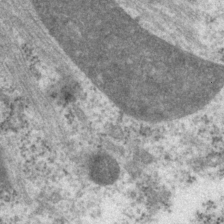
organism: P. pacificus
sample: Pharynx